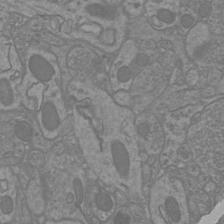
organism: Mouse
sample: Cortical neurons